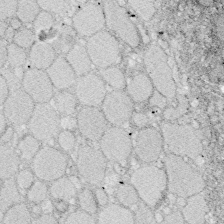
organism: Zebrafish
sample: Whole-Brain